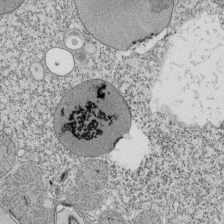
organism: Tetrahymena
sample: Cilia in tetrahymena